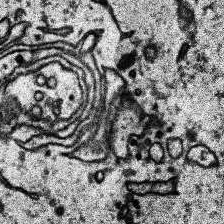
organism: Human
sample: Temporal Lobe